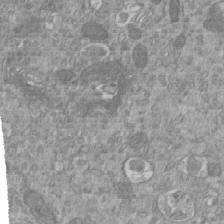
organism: Mouse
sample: ED-1 cell nuclei; centrioles